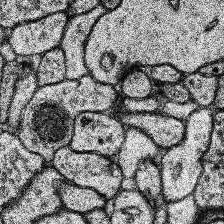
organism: Human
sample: Temporal Lobe